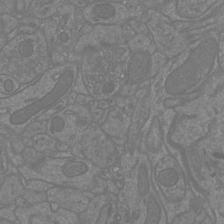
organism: Mouse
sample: Cortical neurons